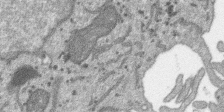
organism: Human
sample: Lung epithelial cells infected with SARS-CoV-2